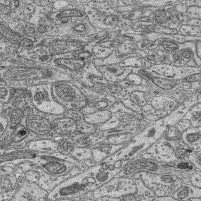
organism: Mouse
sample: Retina